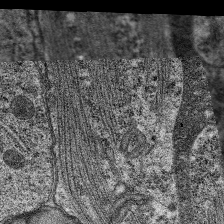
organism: C. elegans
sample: Pharynx